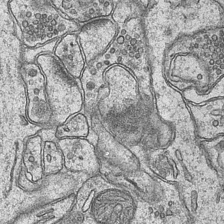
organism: Mouse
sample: CA1 Hippocampus